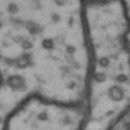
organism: Drosophila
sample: Brain